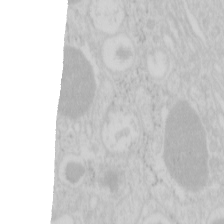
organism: Mouse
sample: Pancreas